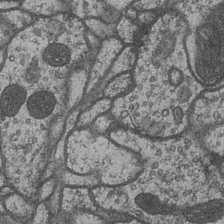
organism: Drosophila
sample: Optic medulla